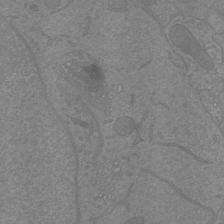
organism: Mouse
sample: Cortical neurons